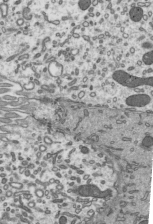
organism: Mouse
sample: Mouse epididymis efferent ductule cilia